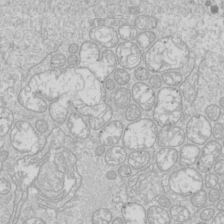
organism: Drosophila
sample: Cell division; meiosis; drosophila spermatocytes